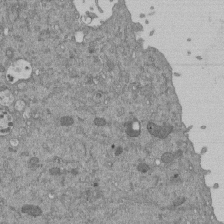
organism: Mouse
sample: ED-1 cell nuclei; centrioles